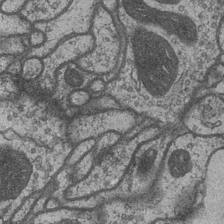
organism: Drosophila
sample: Optic medulla